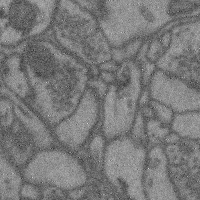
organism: Mouse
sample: Cerebral cortex